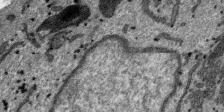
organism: Human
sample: Lung epithelial cells, uninfected (mock) control